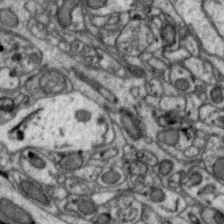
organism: Zebra finch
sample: Brain